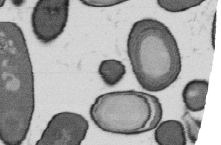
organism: B. subtilis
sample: Bacterial spore